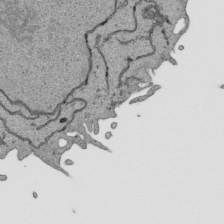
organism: Human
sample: Mitochondria in HCT116 cells